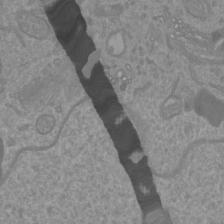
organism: Mouse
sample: Cortical neurons